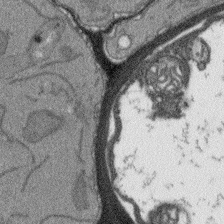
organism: Arabidopsis thaliana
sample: Root tip